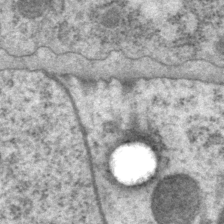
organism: P. pacificus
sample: Pharynx